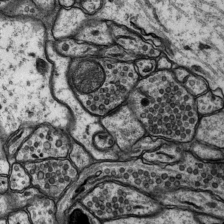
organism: Rat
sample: Hippocampus